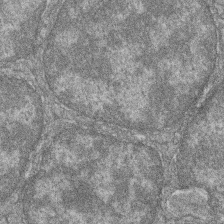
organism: Zebrafish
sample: Cilia; retinal pigment epithelium